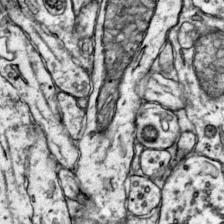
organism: Mouse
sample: Primary visual cortex